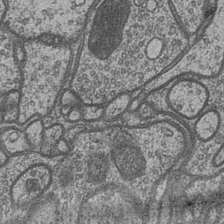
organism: Drosophila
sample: Optic medulla